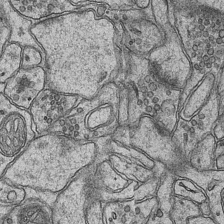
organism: Mouse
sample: CA1 Hippocampus